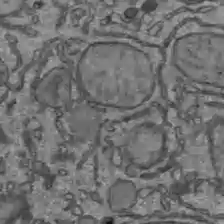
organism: C57BL Mouse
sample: Liver